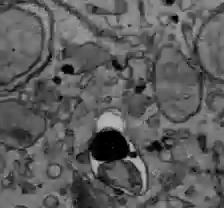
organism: C57BL Mouse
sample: Liver